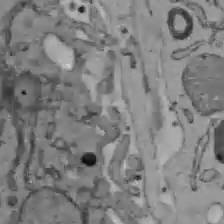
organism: C57BL Mouse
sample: Liver